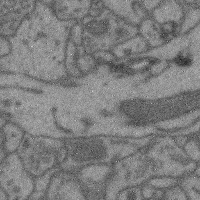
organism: Mouse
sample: Cerebral cortex